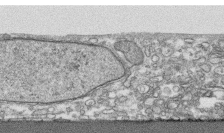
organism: Human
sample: CRL-1474